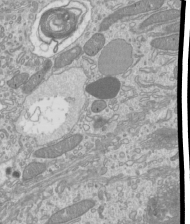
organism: Mouse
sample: Cilia; mouse epididymis